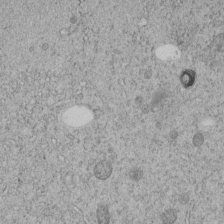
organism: C. elegans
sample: C. elegans embryo early stage